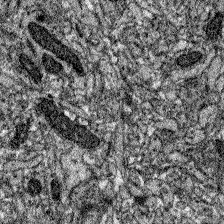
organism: Zebrafish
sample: Larval olfactory bulb